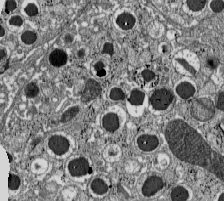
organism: C57BL Mouse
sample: Pancreatic islet